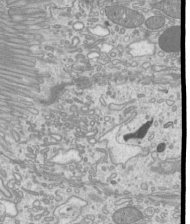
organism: Mouse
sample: Cilia; mouse epididymis